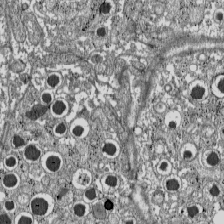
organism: C57BL Mouse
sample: Pancreatic islet